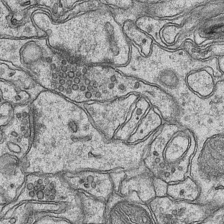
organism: Mouse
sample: CA1 Hippocampus